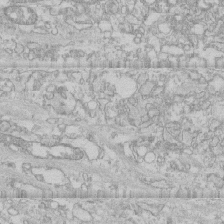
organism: Human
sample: CRL-1474